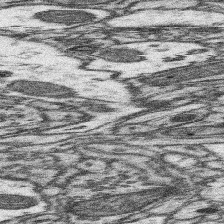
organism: Mouse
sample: Somatosensory cortex neuropil